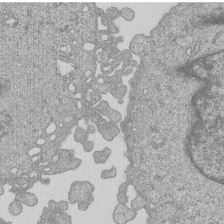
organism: Human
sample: MDA-MB-231 cells